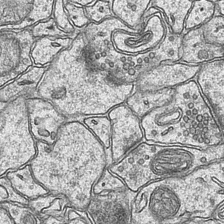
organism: Mouse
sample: CA1 Hippocampus